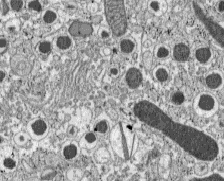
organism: C57BL Mouse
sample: Pancreatic islet